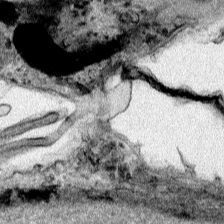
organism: Human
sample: Mitochondria in HCT116 cells